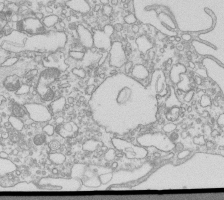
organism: Mouse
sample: Macrophages